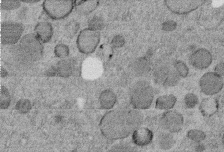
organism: C. elegans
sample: C. elegans embryo early stage